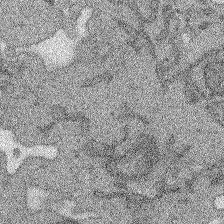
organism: Human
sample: HeLa cells